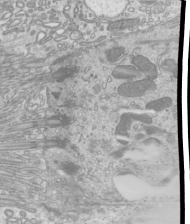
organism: Mouse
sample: Cilia; mouse epididymis